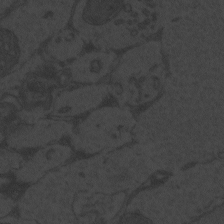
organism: Zebrafish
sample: Macrophage infected with Toxoplasma gondii